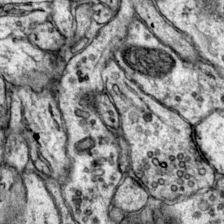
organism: Mouse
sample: Primary visual cortex